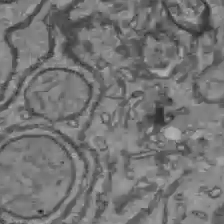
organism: C57BL Mouse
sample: Liver